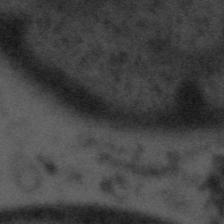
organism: Tuwongella immobilis